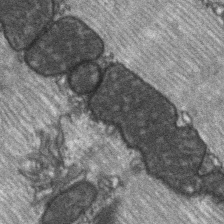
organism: C57BL Mouse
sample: Soleus